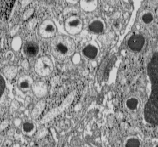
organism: C57BL Mouse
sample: Pancreatic islet